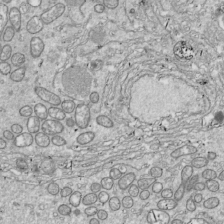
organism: Drosophila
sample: Cell division; meiosis; drosophila spermatocytes